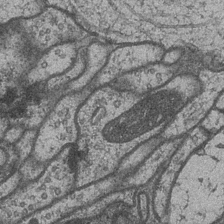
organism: Drosophila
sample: Optic medulla